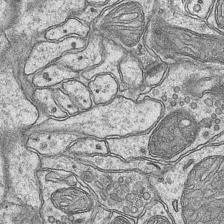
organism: Mouse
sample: CA1 Hippocampus